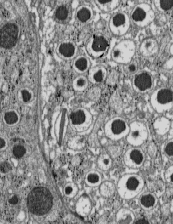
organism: C57BL Mouse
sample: Pancreatic islet